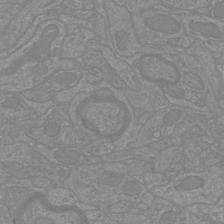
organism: Mouse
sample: Cortical neurons